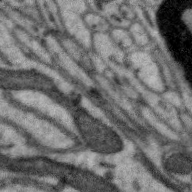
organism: Zebra finch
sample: Brain